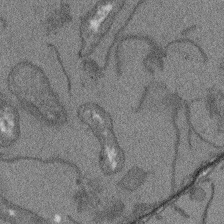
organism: Arabidopsis thaliana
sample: Root tip